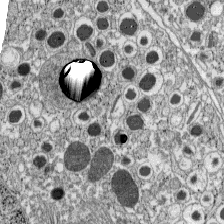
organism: C57BL Mouse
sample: Pancreatic islet